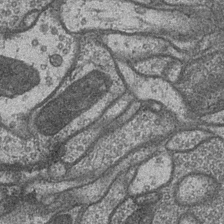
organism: Drosophila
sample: Optic medulla